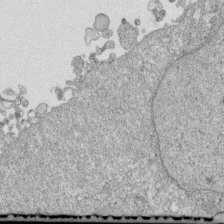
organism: Human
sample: HeLa cell HIV synapse